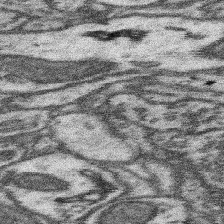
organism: Mouse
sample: Somatosensory cortex neuropil